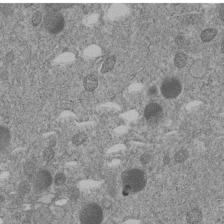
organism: C. elegans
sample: C. elegans embryo early stage